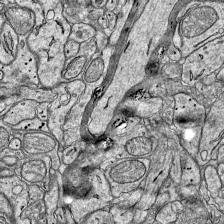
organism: Mouse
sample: Visual Cortex